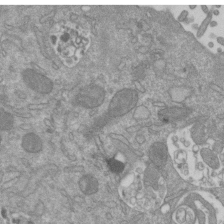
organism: Mouse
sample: ED-1 cell nuclei; centrioles